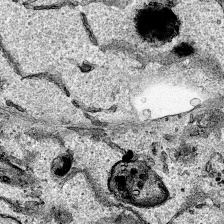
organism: Human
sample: Mitochondria in HCT116 cells